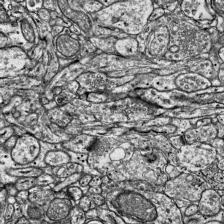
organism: Mouse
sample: Visual Cortex